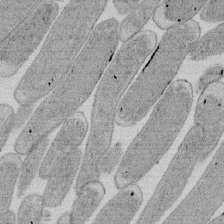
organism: E. coli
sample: Bacterial nucleoid